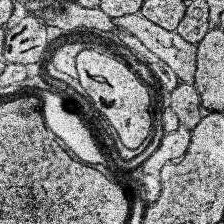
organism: Human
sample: Temporal Lobe